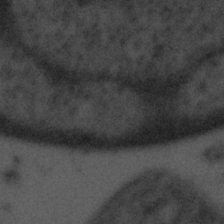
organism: Tuwongella immobilis